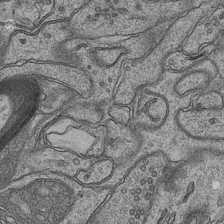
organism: Mouse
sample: CA1 Hippocampus